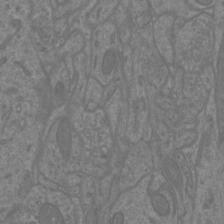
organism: Mouse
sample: Cortical neurons